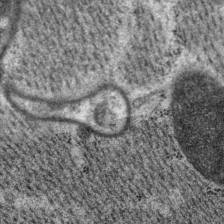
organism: P. pacificus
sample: Pharynx